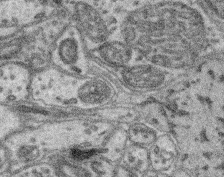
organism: Mouse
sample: Retina